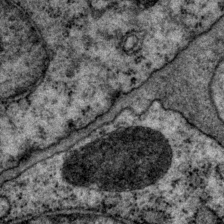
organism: P. pacificus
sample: Pharynx